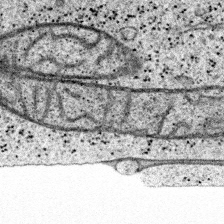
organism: Human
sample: HeLa cells